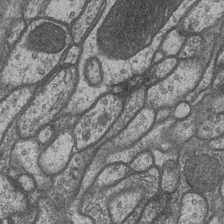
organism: Drosophila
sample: Optic medulla